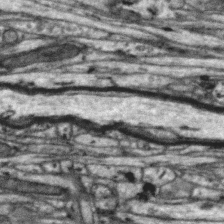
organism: Zebra finch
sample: Brain